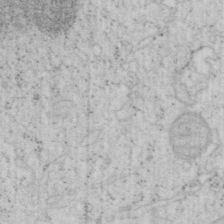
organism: Human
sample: HeLa cells